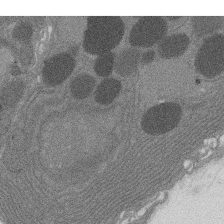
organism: Rat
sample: Salivary granule